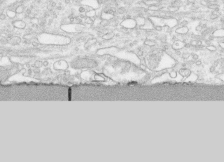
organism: Human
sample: CRL-1474